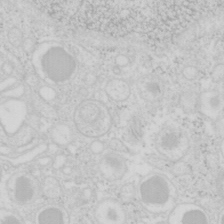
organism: Mouse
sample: Pancreas